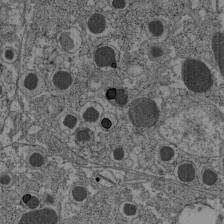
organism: C57BL Mouse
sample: Pancreatic islet